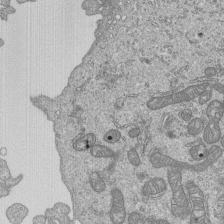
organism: Human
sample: MDA-MB-231 cells